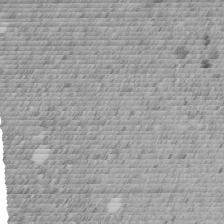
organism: C. elegans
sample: C. elegans embryo early stage